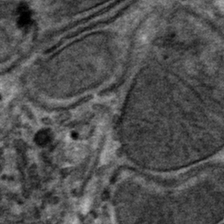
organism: Mouse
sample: Mouse hepatocytes